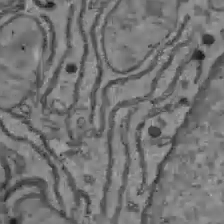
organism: C57BL Mouse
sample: Liver